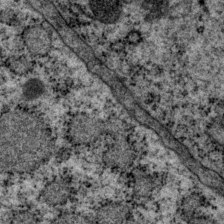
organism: P. pacificus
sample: Pharynx